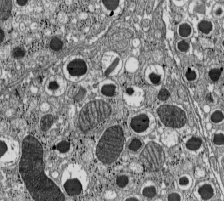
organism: C57BL Mouse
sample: Pancreatic islet